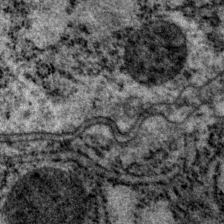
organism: P. pacificus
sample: Pharynx